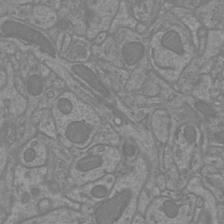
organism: Mouse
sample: Cortical neurons